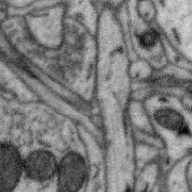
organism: Zebra finch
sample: Brain